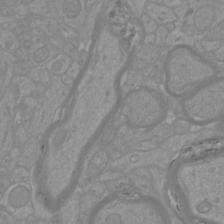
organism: Mouse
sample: Cortical neurons